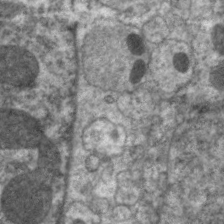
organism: C. elegans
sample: Pharynx